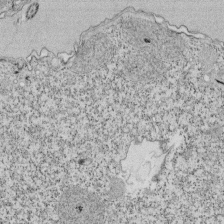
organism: Tetrahymena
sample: Cilia in tetrahymena